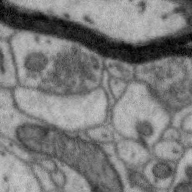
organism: Zebra finch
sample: Brain